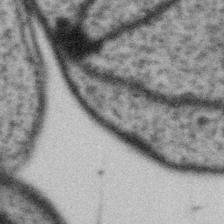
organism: Gemmata obscuriglobus